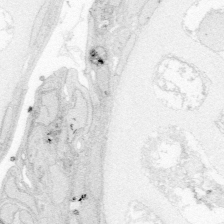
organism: Zebrafish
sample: Whole-Brain